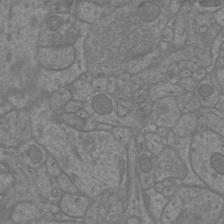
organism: Mouse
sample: Cortical neurons